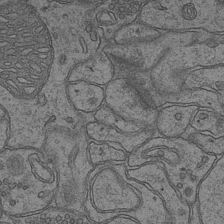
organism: Mouse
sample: CA1 Hippocampus